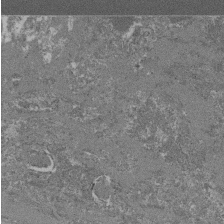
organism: Mouse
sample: Glomerulus